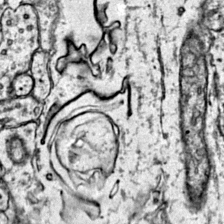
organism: Mouse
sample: Primary visual cortex